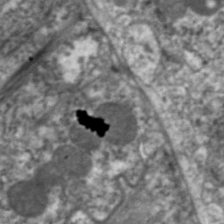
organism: C. elegans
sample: Pharynx